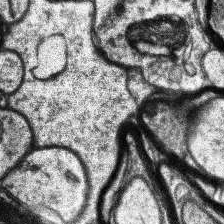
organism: Human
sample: Temporal Lobe